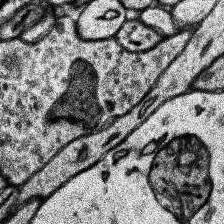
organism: Human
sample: Temporal Lobe